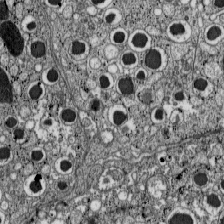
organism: C57BL Mouse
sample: Pancreatic islet